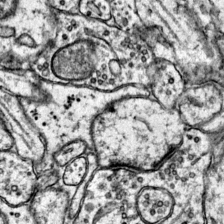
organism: Mouse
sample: Primary visual cortex